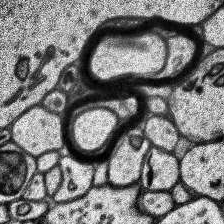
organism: Human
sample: Temporal Lobe